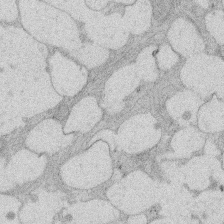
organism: Rat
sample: Salivary granule